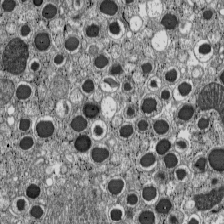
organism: C57BL Mouse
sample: Pancreatic islet